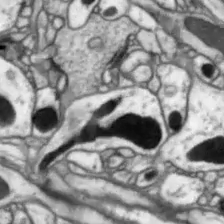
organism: Drosophila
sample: Optic lobe